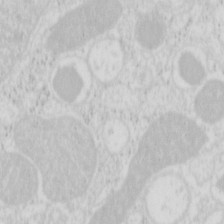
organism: Mouse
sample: Pancreas